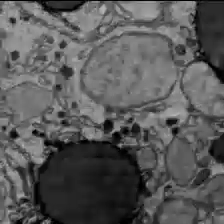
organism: C57BL Mouse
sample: Liver